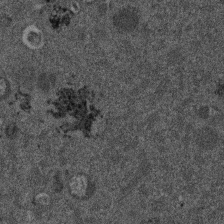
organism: Mouse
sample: Dividing mouse embryo 1 cell stage